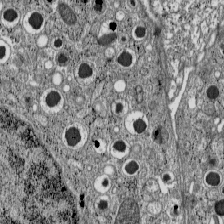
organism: C57BL Mouse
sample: Pancreatic islet